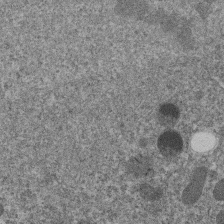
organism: C. elegans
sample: C. elegans embryo early stage